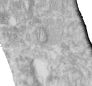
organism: Human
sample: Centriole in RPE cells